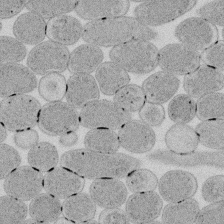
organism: E. coli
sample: Bacterial nucleoid